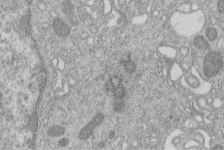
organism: Human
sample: Macrophage cells